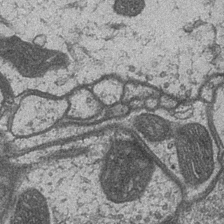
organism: Drosophila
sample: Optic medulla